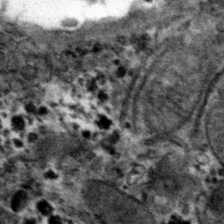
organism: Mouse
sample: Mouse hepatocytes